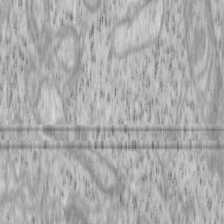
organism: Human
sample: HeLa cells